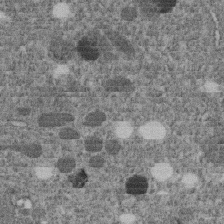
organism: C. elegans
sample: C. elegans embryo early stage